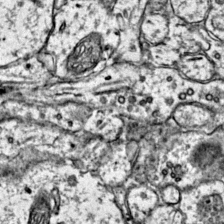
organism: Mouse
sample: Primary visual cortex